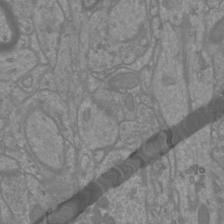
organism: Mouse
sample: Cortical neurons